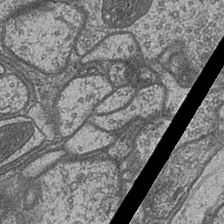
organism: Drosophila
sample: Optic medulla